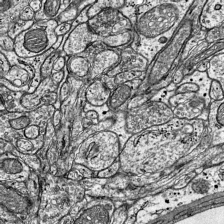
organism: Mouse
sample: Visual Cortex